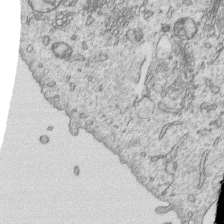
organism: Human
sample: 1205lu cells